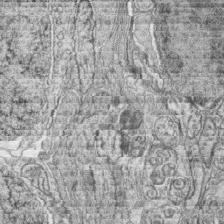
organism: Zebrafish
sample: synaptic ribbons in rod cells and cone cells